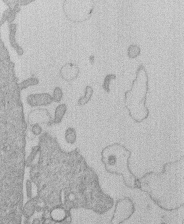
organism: Human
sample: Macrophage cells